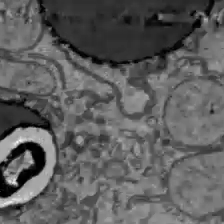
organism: C57BL Mouse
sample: Liver